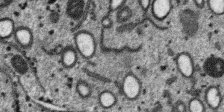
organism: Human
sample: Lung epithelial cells infected with SARS-CoV-2